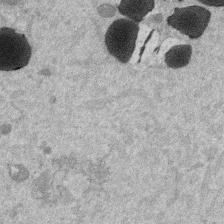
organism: Mouse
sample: Dividing mouse embryo 1 cell stage